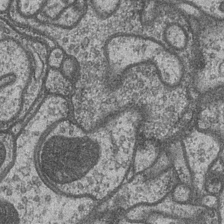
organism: Drosophila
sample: Optic medulla